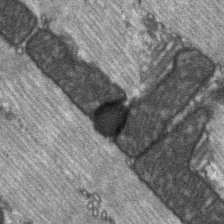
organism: C57BL Mouse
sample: Soleus